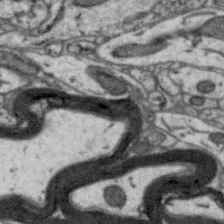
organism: Zebra finch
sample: Brain